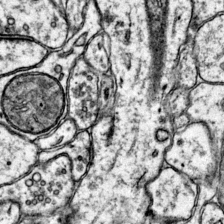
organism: Mouse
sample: Primary visual cortex